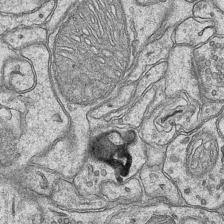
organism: Mouse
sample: CA1 Hippocampus